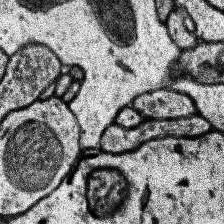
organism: Human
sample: Temporal Lobe